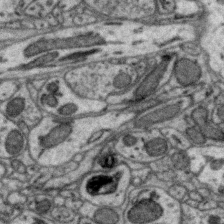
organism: Zebra finch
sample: Brain